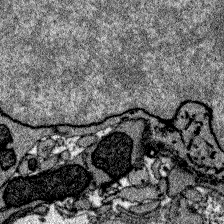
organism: Zebrafish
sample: Larval olfactory bulb